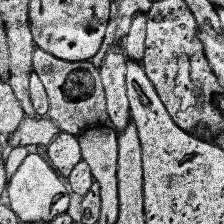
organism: Human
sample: Temporal Lobe